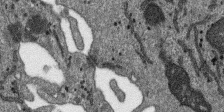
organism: Human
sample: Lung epithelial cells infected with SARS-CoV-2